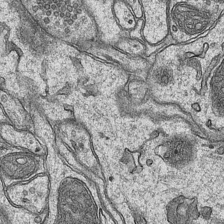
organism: Mouse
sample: CA1 Hippocampus